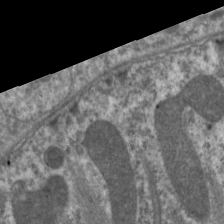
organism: C. elegans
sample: Pharynx